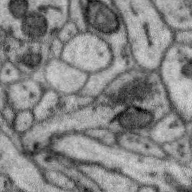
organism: Zebra finch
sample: Brain